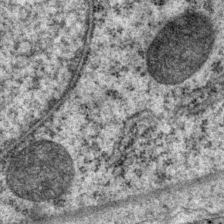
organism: P. pacificus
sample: Pharynx